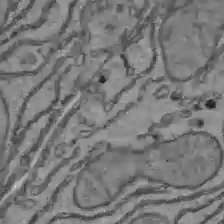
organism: C57BL Mouse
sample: Liver